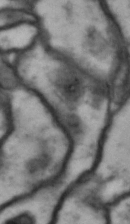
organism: Drosophila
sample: Brain